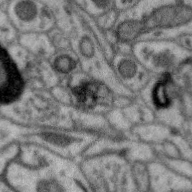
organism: Zebra finch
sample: Brain